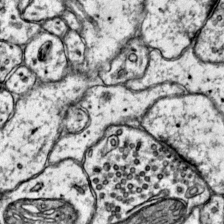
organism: Mouse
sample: Primary visual cortex